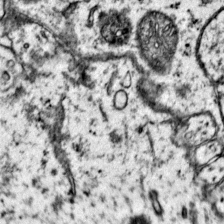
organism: Mouse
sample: Primary visual cortex